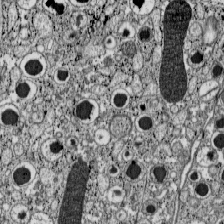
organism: C57BL Mouse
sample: Pancreatic islet